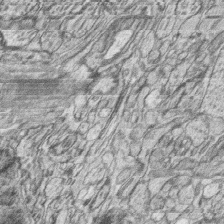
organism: Zebrafish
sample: synaptic ribbons in rod cells and cone cells